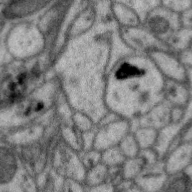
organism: Zebra finch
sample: Brain